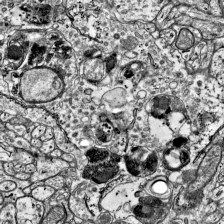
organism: Mouse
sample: Visual Cortex